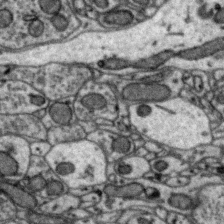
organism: Zebra finch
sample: Brain